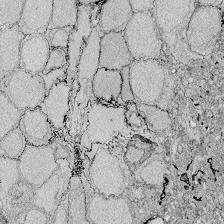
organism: Zebrafish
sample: Whole-Brain